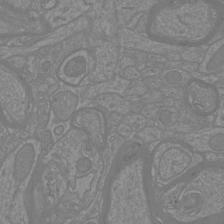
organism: Mouse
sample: Cortical neurons